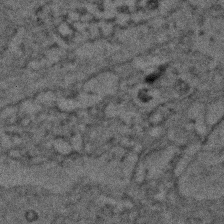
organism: Zebrafish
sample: Zebrafish embryo